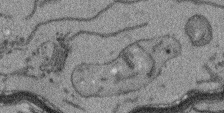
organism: Arabidopsis thaliana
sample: Root tip